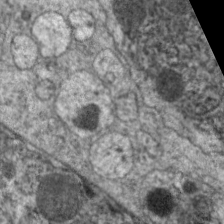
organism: C. elegans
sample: Pharynx